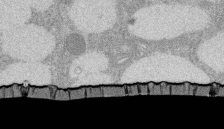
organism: Rat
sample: Salivary granule